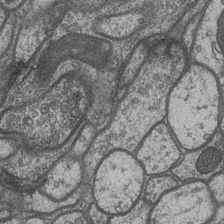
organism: Drosophila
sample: Optic medulla